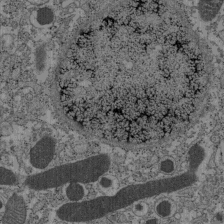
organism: C57BL Mouse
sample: Pancreatic islet